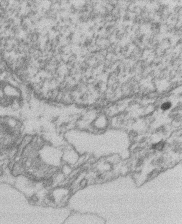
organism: Mouse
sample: T cell stromal cell synapse